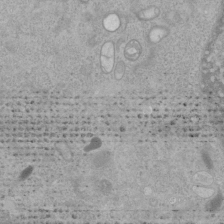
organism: Human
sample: Mitochondria in HCT116 cells